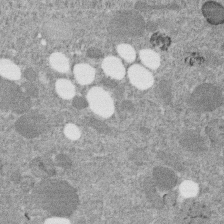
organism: C. elegans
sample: C. elegans embryo early stage